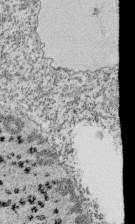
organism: Tetrahymena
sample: Cilia in tetrahymena